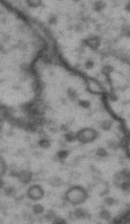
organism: Drosophila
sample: Brain